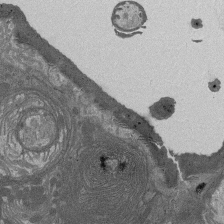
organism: Drosophila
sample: Antenna